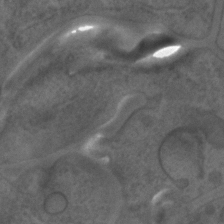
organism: C. elegans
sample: C. elegans embryo